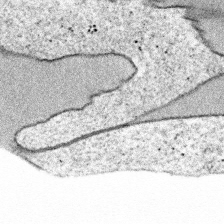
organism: Human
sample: HeLa cells